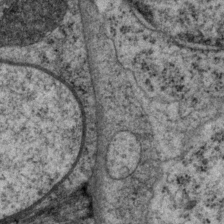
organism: P. pacificus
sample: Pharynx